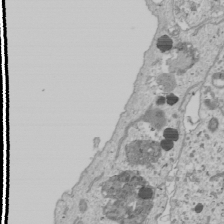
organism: Human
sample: Mitochondria in U2OS cells